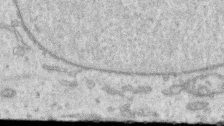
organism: Human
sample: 1205lu cells